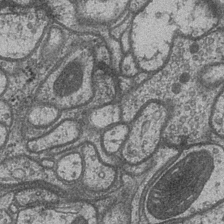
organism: Drosophila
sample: Optic medulla